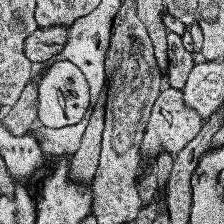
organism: Human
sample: Temporal Lobe